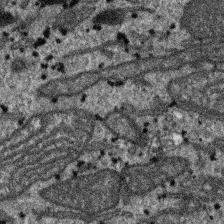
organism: Human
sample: Lung epithelial cells infected with SARS-CoV-2